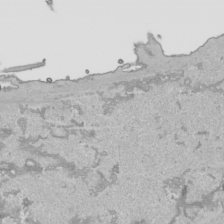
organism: Human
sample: Mitochondria in HCT116 cells